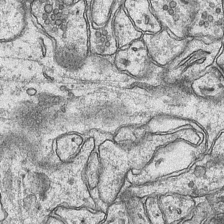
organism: Mouse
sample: CA1 Hippocampus